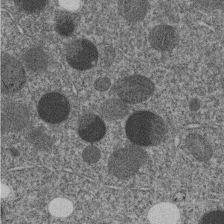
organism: C. elegans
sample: C. elegans embryo early stage